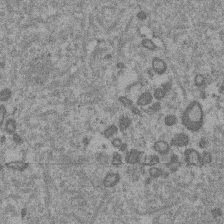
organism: Mouse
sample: Dividing mouse embryo 1 cell stage